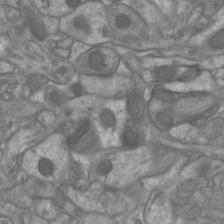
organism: Mouse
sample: Cortical neurons